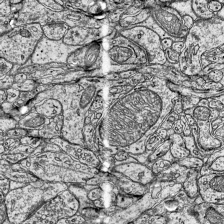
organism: Mouse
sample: Visual Cortex